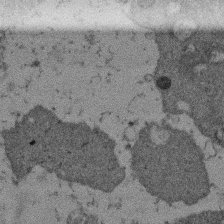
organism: Mouse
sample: Dividing mouse embryo 1 cell stage